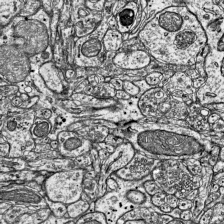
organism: Mouse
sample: Visual Cortex